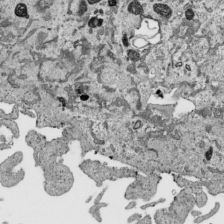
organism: Human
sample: Mitochondria in HCT116 cells